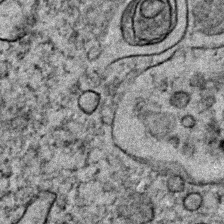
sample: Trachea